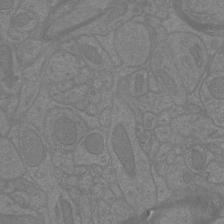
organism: Mouse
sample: Cortical neurons